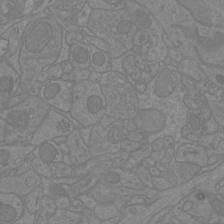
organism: Mouse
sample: Cortical neurons